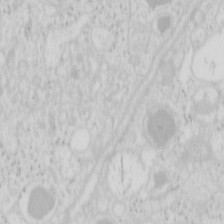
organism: Mouse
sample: Pancreas